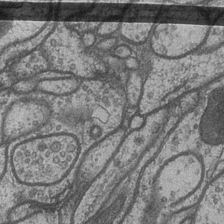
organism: Drosophila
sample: Optic medulla